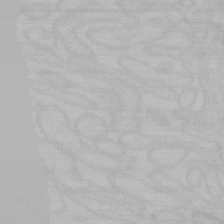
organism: Mouse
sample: Choroid plexus